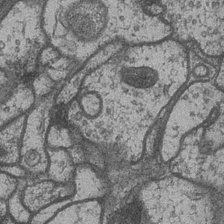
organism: Drosophila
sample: Optic medulla